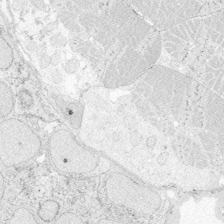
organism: Zebrafish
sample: Whole-Brain